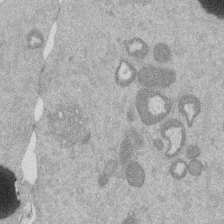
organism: Mouse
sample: Dividing mouse embryo 1 cell stage